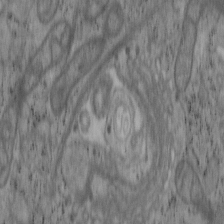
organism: Human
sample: HeLa cells